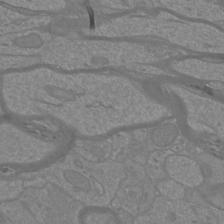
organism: Mouse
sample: Cortical neurons